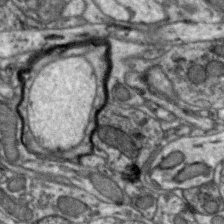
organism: Zebra finch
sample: Brain